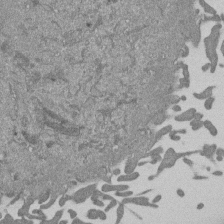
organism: Mouse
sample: ED-1 cell nuclei; centrioles